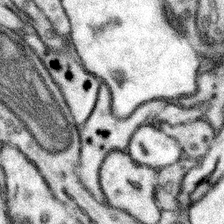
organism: Mouse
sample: Somatosensory cortex neuropil